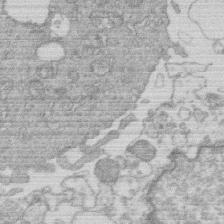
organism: Human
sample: Macrophage cells